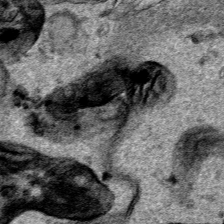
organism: Human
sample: Mitochondria in HCT116 cells